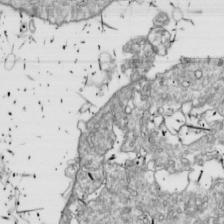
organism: Drosophila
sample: Cell division; meiosis; drosophila spermatocytes